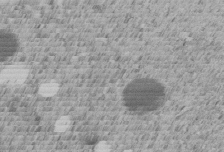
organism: C. elegans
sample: C. elegans embryo early stage